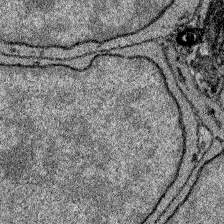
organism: Zebrafish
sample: Larval olfactory bulb